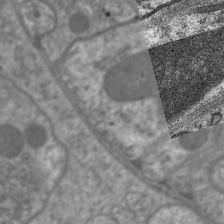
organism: C. elegans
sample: Pharynx